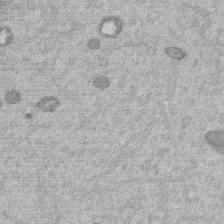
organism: Mouse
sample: Dividing mouse embryo 1 cell stage